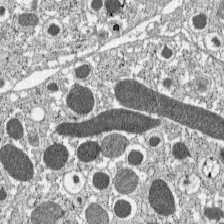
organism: C57BL Mouse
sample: Pancreatic islet